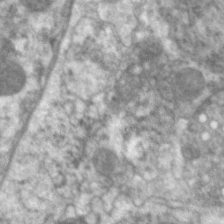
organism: C. elegans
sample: Pharynx